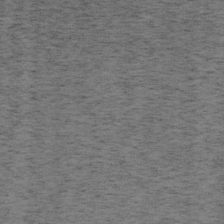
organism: Mouse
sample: OT-I killer T cells with ID8 ovarian cancer cells